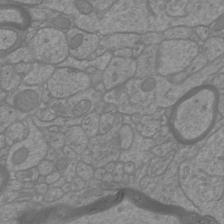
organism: Mouse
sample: Cortical neurons